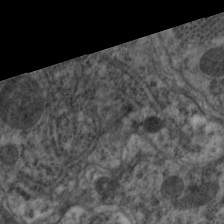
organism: C. elegans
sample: Pharynx